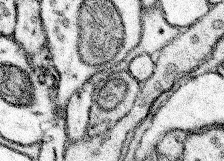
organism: Mouse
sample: Somatosensory cortex neuropil